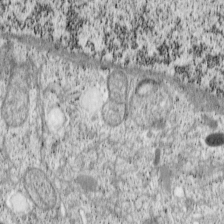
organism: African green monkey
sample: COS-7 cells